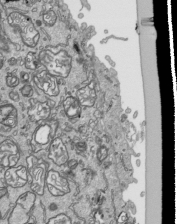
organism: Human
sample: Mitochondria in HCT116 cells